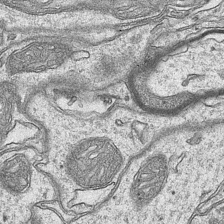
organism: Mouse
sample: CA1 Hippocampus